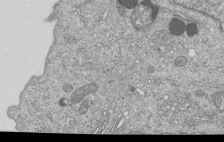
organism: Human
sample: MDA-MB-231 cells